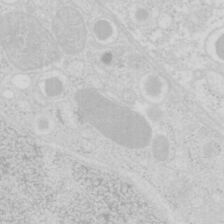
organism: Mouse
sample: Pancreas